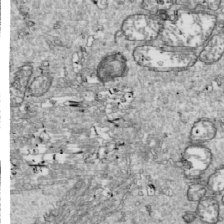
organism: Drosophila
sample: Cell division; meiosis; drosophila spermatocytes